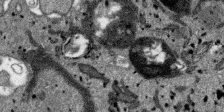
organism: Human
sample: Lung epithelial cells, uninfected (mock) control